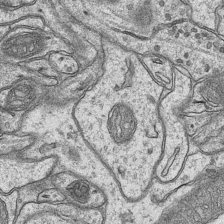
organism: Mouse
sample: CA1 Hippocampus